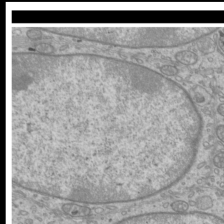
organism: Mouse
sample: Cilia; mouse epididymis